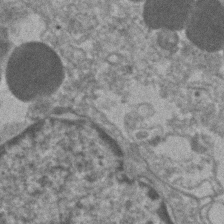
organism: Human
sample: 1205lu cells